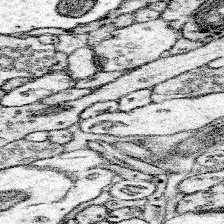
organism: Mouse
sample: Somatosensory cortex neuropil